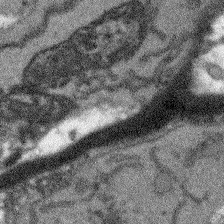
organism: Arabidopsis thaliana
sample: Root tip